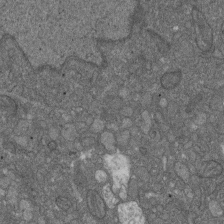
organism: Drosophila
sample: Nephrocyte